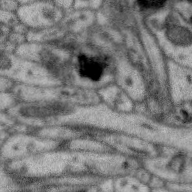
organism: Zebra finch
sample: Brain